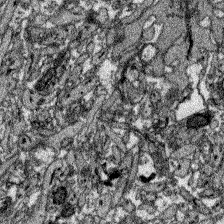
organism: Zebrafish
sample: Larval olfactory bulb